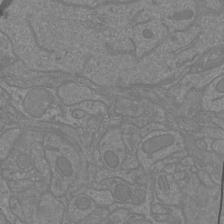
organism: Mouse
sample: Cortical neurons